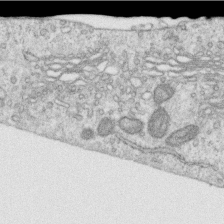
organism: Human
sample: Centriole in RPE cells